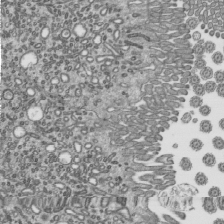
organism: Mouse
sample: Mouse epididymis efferent ductule cilia